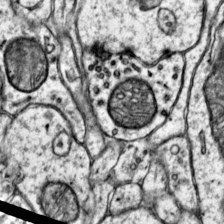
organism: Mouse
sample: Primary visual cortex